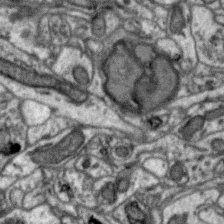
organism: Zebra finch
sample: Brain